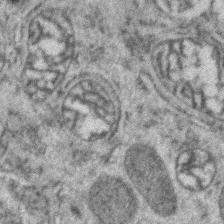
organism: Zebrafish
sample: Zebrafish embryo